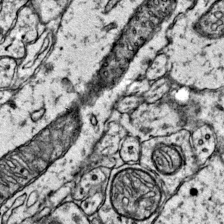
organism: Mouse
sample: Primary visual cortex